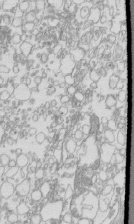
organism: Mouse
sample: Macrophages